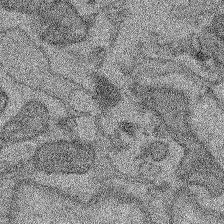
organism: Human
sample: HeLa cells